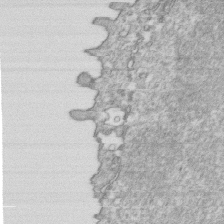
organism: Mouse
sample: Activated OT-1 CD8+ T cells